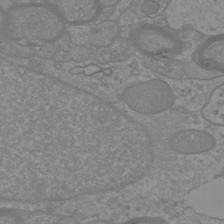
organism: Mouse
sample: Cortical neurons